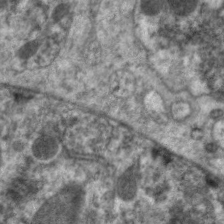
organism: C. elegans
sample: Pharynx